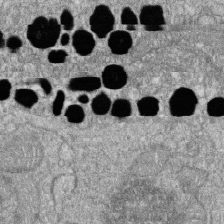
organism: Zebrafish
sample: Cilia; retinal pigment epithelium